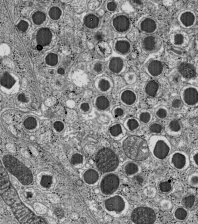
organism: C57BL Mouse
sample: Pancreatic islet